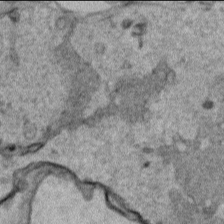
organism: Human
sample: Mitochondria in HCT116 cells